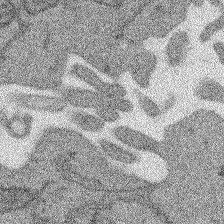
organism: Human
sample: HeLa cells